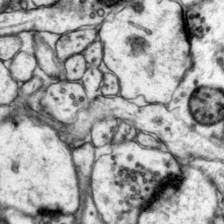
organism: Mouse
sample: Primary visual cortex